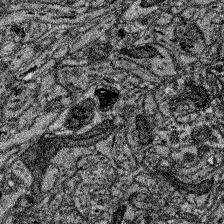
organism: Zebrafish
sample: Larval olfactory bulb